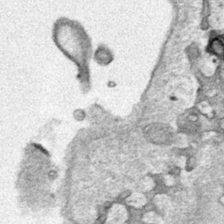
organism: Human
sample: Mitochondria in HCT116 cells